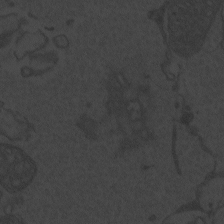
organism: Zebrafish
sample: Macrophage infected with Toxoplasma gondii